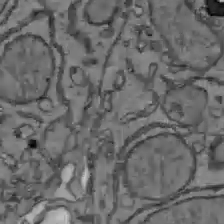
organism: C57BL Mouse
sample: Liver